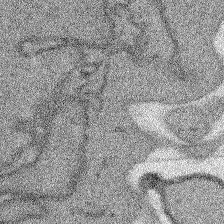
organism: Human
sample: HeLa cells